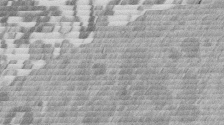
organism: Mouse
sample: Dividing mouse embryo 1 cell stage